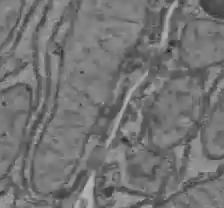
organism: C57BL Mouse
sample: Liver